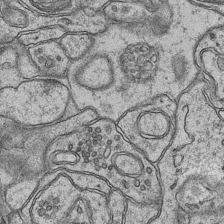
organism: Mouse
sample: CA1 Hippocampus